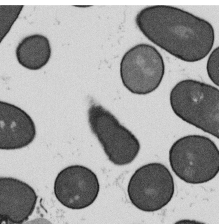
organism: B. subtilis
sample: Bacterial spore